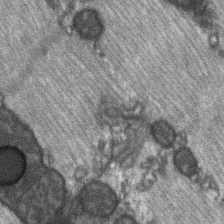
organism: C57BL Mouse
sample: Soleus